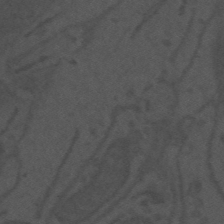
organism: Mouse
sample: Suprachiasmatic nucleus